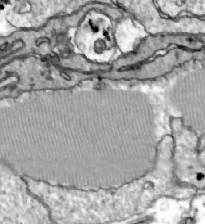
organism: Zebrafish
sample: Actinotrichia fibers